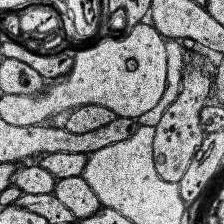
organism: Human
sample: Temporal Lobe